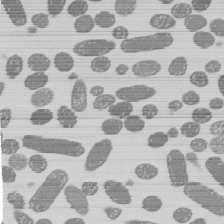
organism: E. coli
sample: Bacterial nucleoid